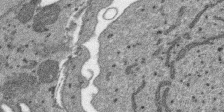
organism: Human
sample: Lung epithelial cells infected with SARS-CoV-2